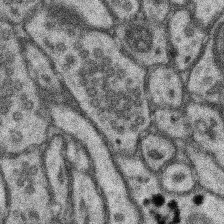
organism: Mouse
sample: Somatosensory cortex neuropil